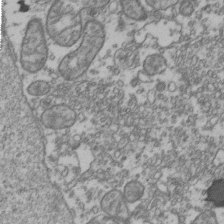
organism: Human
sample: Activated Jurkat CD4+ T cells